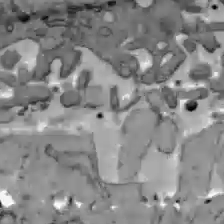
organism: C57BL Mouse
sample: Liver